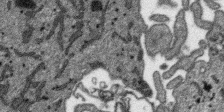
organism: Human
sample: Lung epithelial cells infected with SARS-CoV-2